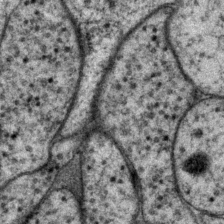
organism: P. pacificus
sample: Pharynx